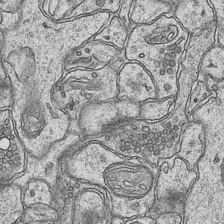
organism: Mouse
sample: CA1 Hippocampus